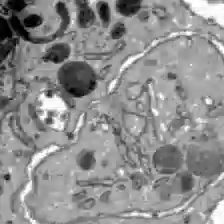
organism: C57BL Mouse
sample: Liver